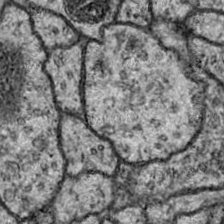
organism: Drosophila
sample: Ventral Nerve Cord